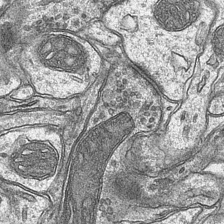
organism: Mouse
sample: CA1 Hippocampus